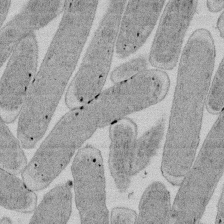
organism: E. coli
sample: Bacterial nucleoid